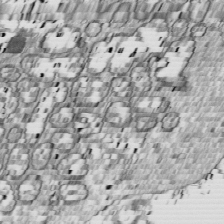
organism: Drosophila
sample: Cell division; meiosis; drosophila spermatocytes